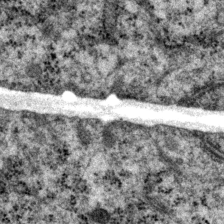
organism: P. pacificus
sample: Pharynx